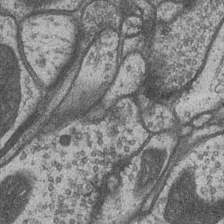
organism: Drosophila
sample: Optic medulla